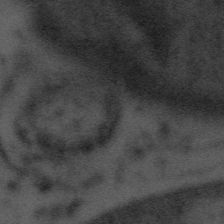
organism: Tuwongella immobilis